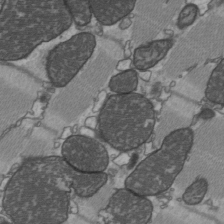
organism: C57BL Mouse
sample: Heart